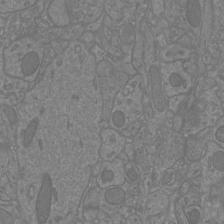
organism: Mouse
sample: Cortical neurons